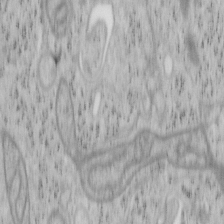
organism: Human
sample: HeLa cells